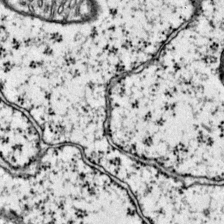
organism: Mouse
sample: Primary visual cortex